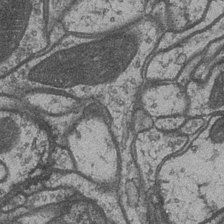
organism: Drosophila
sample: Optic medulla